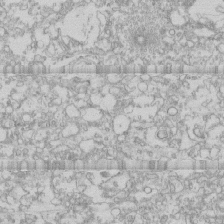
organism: Human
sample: CRL-1474